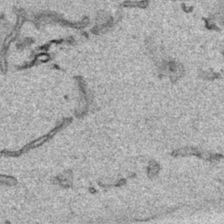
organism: Human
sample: Mitochondria in HCT116 cells